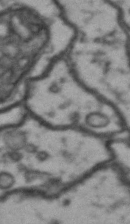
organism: Drosophila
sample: Brain